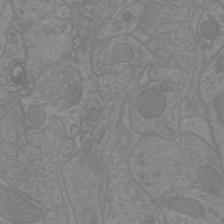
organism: Mouse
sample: Cortical neurons